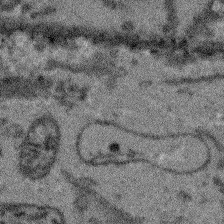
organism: Arabidopsis thaliana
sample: Root tip